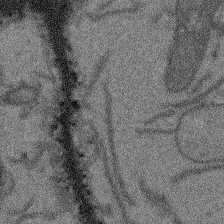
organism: Arabidopsis thaliana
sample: Root tip